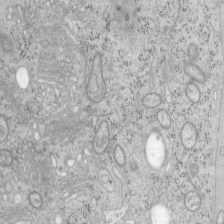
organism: Mouse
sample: OT-I killer T cells with ID8 ovarian cancer cells